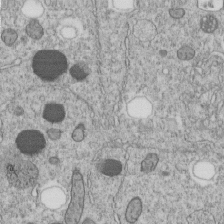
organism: C. elegans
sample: C. elegans embryo early stage